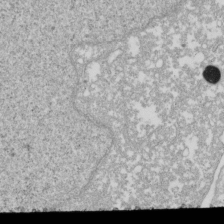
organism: Xenopus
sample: Cilia; centrioles in frog embryo cells